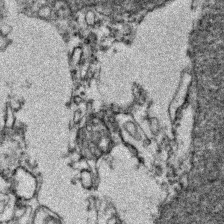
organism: Zebrafish